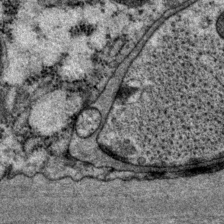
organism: P. pacificus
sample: Pharynx